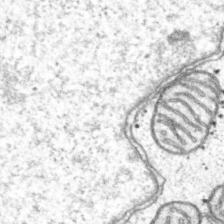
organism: Human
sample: HeLa cells